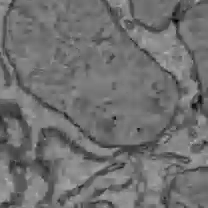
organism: C57BL Mouse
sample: Liver